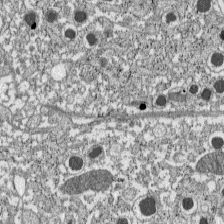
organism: C57BL Mouse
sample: Pancreatic islet